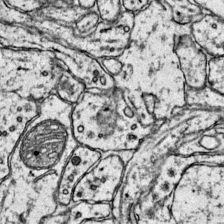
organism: Mouse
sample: Primary visual cortex